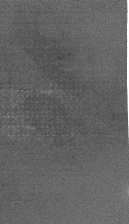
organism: Human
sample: Retinal organoid Rod and Cone cells